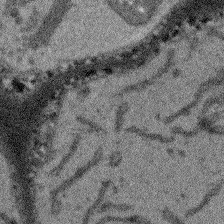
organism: Arabidopsis thaliana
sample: Root tip